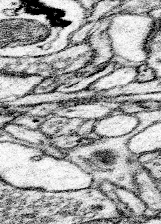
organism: Mouse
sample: Somatosensory cortex neuropil